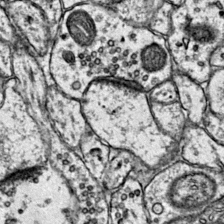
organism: Mouse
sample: Primary visual cortex